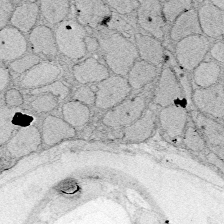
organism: Zebrafish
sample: Whole-Brain